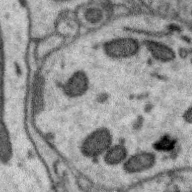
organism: Zebra finch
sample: Brain